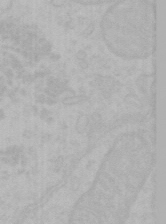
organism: Mouse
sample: Choroid plexus